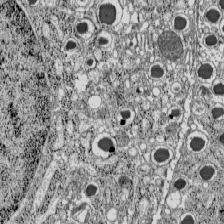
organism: C57BL Mouse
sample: Pancreatic islet